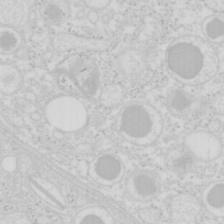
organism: Mouse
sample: Pancreas